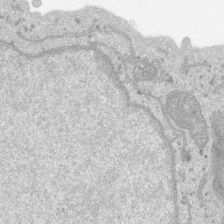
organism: Human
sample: Lung epithelial cells infected with SARS-CoV-2